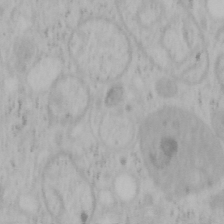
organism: Mouse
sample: OT-I killer T cells with ID8 ovarian cancer cells